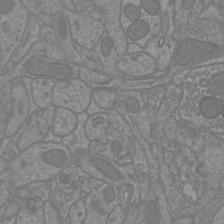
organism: Mouse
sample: Cortical neurons